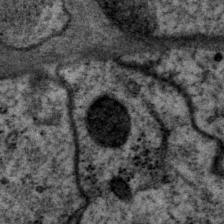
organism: P. pacificus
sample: Pharynx